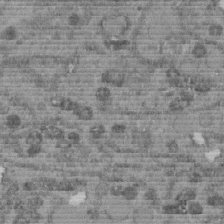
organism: C. elegans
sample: C. elegans embryo early stage